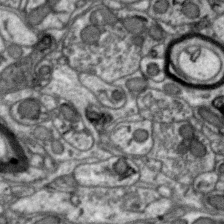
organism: Zebra finch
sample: Brain